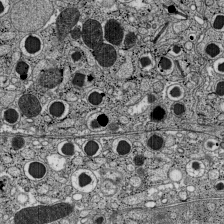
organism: C57BL Mouse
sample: Pancreatic islet